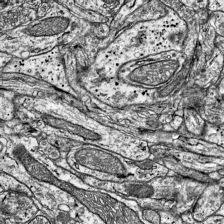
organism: Mouse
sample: Visual Cortex